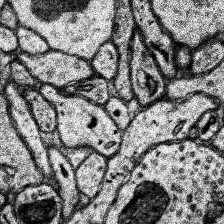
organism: Human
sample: Temporal Lobe